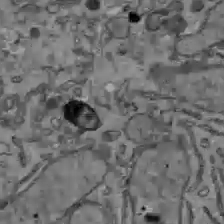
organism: C57BL Mouse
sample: Liver